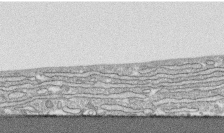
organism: Human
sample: CRL-1474